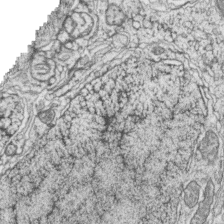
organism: Zebrafish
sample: synaptic ribbons in rod cells and cone cells